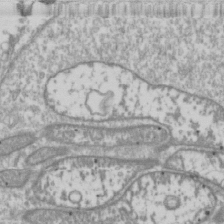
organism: Drosophila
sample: Cell division; meiosis; drosophila spermatocytes